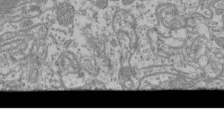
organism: Mouse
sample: Glomerulus